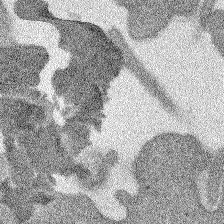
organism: Human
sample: HeLa cells